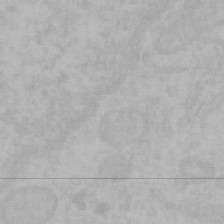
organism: Mouse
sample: Choroid plexus